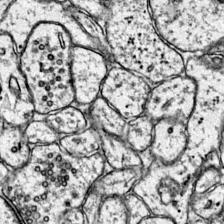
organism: Mouse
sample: Primary visual cortex